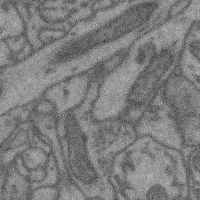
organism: Mouse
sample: Cerebral cortex